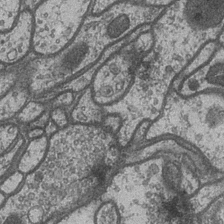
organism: Drosophila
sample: Optic medulla